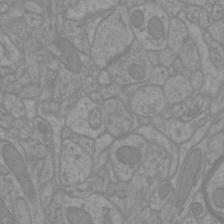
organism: Mouse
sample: Cortical neurons